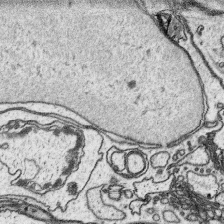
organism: Platynereis dumerilii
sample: Parapodia